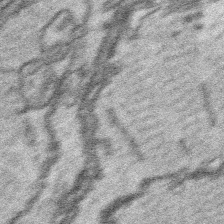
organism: Platynereis dumerilii